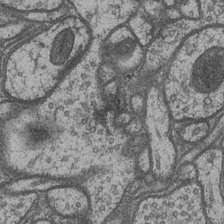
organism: Drosophila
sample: Optic medulla